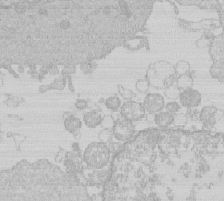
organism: Human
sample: Macrophage cells